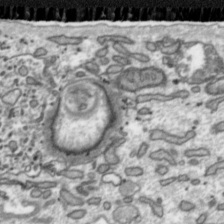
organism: Toxoplasma gondii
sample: Parasites in a vacuole inside a host cell